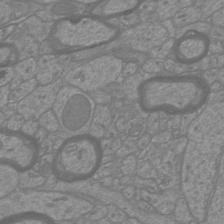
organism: Mouse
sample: Cortical neurons